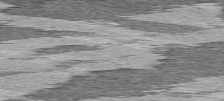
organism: C57BL Mouse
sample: Heart